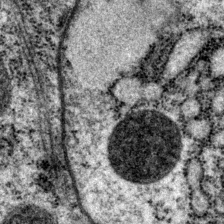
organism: P. pacificus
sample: Pharynx